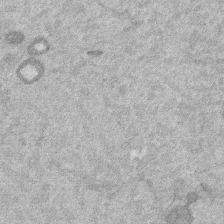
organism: Mouse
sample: Dividing mouse embryo 1 cell stage